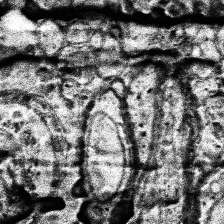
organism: Human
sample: Temporal Lobe